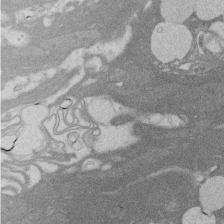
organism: Rat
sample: Salivary granule